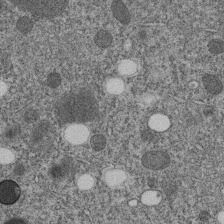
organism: C. elegans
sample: C. elegans embryo early stage